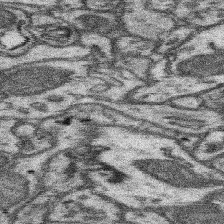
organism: Mouse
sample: Somatosensory cortex neuropil